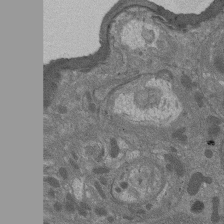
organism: Drosophila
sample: Antenna